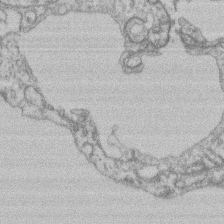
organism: Mouse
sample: T cell stromal cell synapse